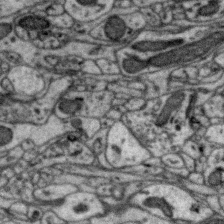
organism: Zebra finch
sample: Brain